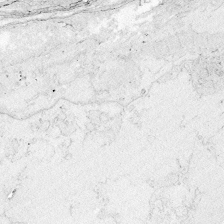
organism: Zebrafish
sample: Whole-Brain